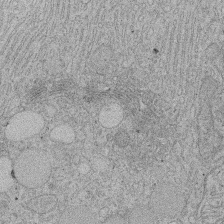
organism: Rat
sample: Salivary granule